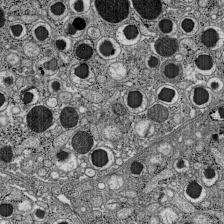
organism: C57BL Mouse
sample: Pancreatic islet